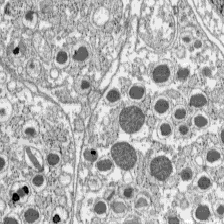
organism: C57BL Mouse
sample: Pancreatic islet